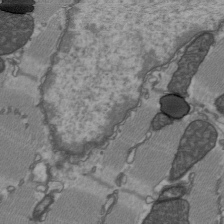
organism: C57BL Mouse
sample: Heart